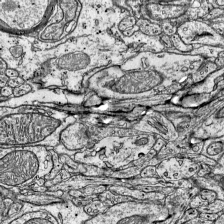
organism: Mouse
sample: Visual Cortex